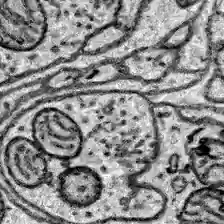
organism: Zebrafish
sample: Brain